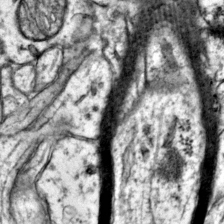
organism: Mouse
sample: Primary visual cortex